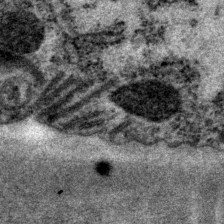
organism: P. pacificus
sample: Pharynx